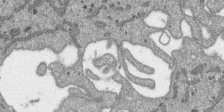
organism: Human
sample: Lung epithelial cells infected with SARS-CoV-2